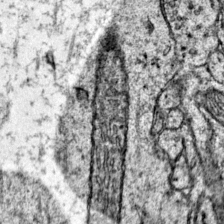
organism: Mouse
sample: Primary visual cortex